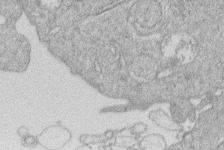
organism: Human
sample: Macrophage cells